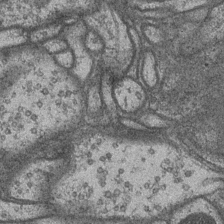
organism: Drosophila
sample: Optic medulla